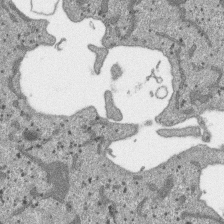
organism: Human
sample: Lung epithelial cells infected with SARS-CoV-2